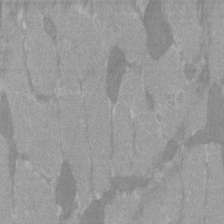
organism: C57BL Mouse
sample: Tibialis anterior muscle cell